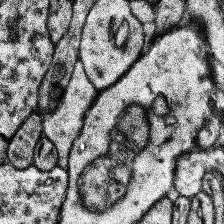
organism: Human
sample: Temporal Lobe